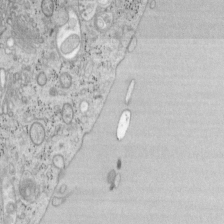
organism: Mouse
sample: OT-I killer T cells with ID8 ovarian cancer cells